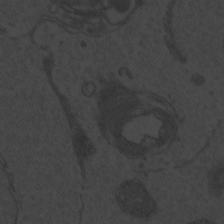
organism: Zebrafish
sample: Macrophage infected with Toxoplasma gondii